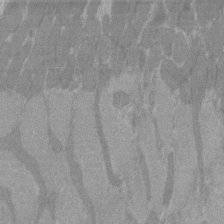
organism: C57BL Mouse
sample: Tibialis anterior muscle cell